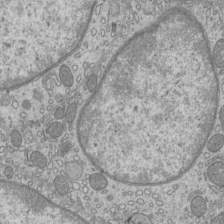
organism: Mouse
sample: Cilia; mouse epididymis